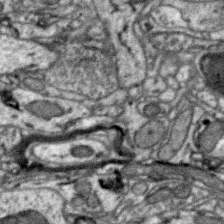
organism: Zebra finch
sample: Brain